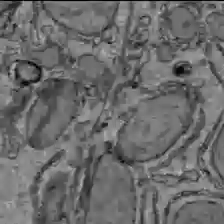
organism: C57BL Mouse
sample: Liver